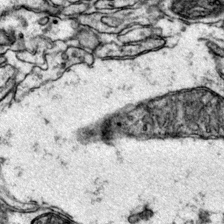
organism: Mouse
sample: Primary visual cortex